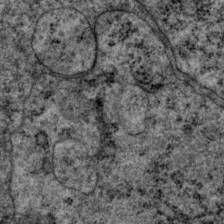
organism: P. pacificus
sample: Pharynx